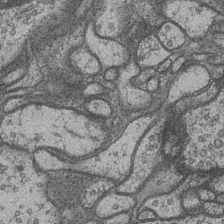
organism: Drosophila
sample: Optic medulla